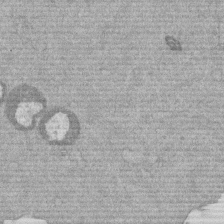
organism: Mouse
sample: Dividing mouse embryo 1 cell stage